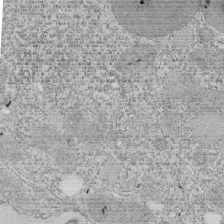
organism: Tetrahymena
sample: Cilia in tetrahymena